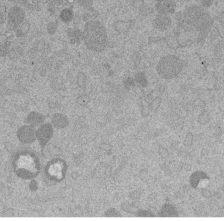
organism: Mouse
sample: Dividing mouse embryo 1 cell stage